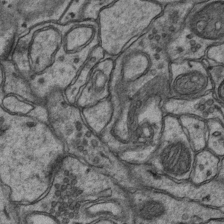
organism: Mouse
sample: CA1 Hippocampus